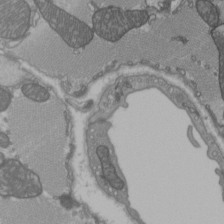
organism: C57BL Mouse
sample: Heart